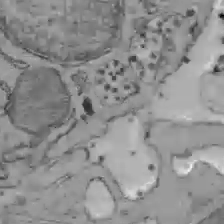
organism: C57BL Mouse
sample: Liver